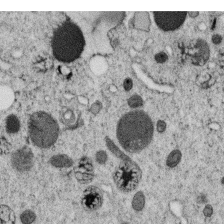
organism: C. elegans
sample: C. elegans oocyte; sperm cells